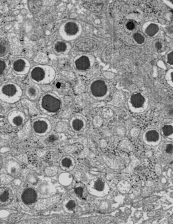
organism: C57BL Mouse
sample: Pancreatic islet